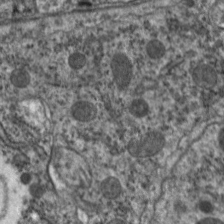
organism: C. elegans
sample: Pharynx